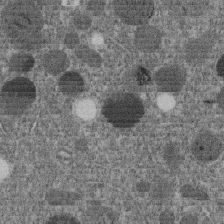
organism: C. elegans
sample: C. elegans embryo early stage